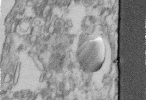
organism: Human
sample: Centriole in fibroblast cells